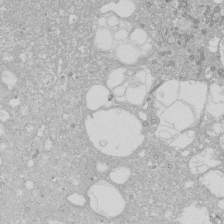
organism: Human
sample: Caco-2 cells